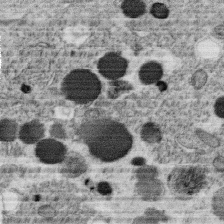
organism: C. elegans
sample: C. elegans oocyte; sperm cells